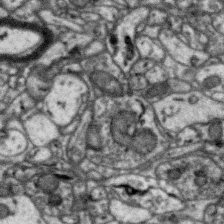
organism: Zebra finch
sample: Brain